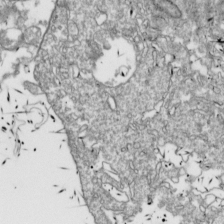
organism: Drosophila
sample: Cell division; meiosis; drosophila spermatocytes